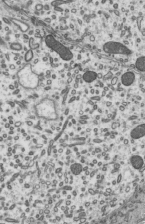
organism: Mouse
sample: Mouse epididymis efferent ductule cilia